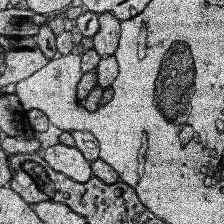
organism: Human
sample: Temporal Lobe